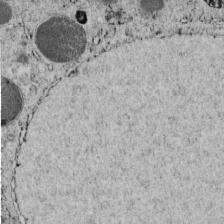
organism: C. elegans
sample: C. elegans embryo early stage